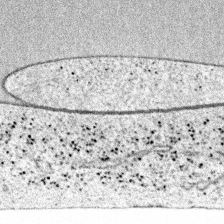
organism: Human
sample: HeLa cells